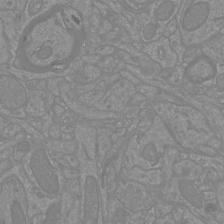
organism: Mouse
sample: Cortical neurons